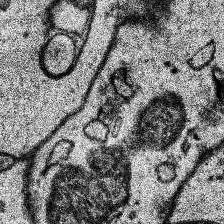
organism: Human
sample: Temporal Lobe